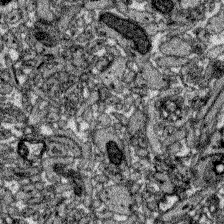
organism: Zebrafish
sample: Larval olfactory bulb